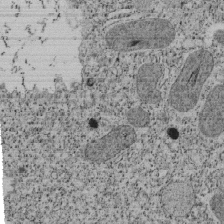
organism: Tetrahymena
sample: Cilia in tetrahymena